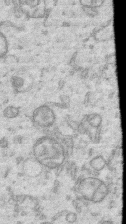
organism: Human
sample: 1205lu cells